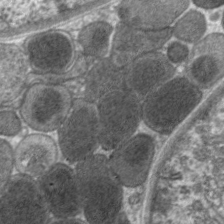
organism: C. elegans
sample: Pharynx